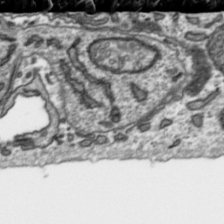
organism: Toxoplasma gondii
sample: Parasites in a vacuole inside a host cell